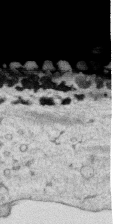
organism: Human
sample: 1205lu cells